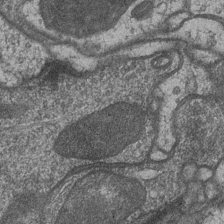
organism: Drosophila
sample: Optic medulla